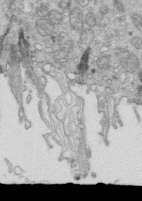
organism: Mouse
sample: Multiciliated cells